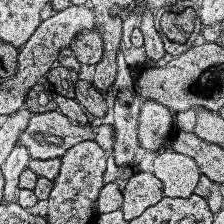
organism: Human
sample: Temporal Lobe